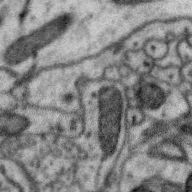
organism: Zebra finch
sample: Brain